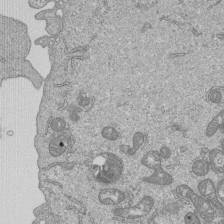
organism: Human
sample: MDA-MB-231 cells